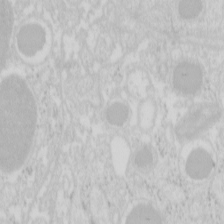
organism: Mouse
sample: Pancreas